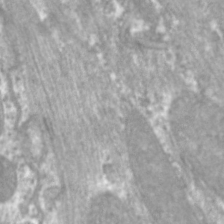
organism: C. elegans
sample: Pharynx